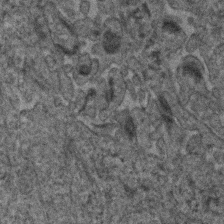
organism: Human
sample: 1205lu cells